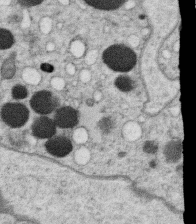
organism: C. elegans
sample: C. elegans oocyte; sperm cells